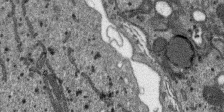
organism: Human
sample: Lung epithelial cells infected with SARS-CoV-2